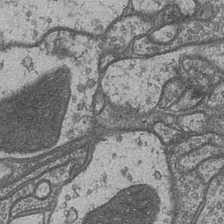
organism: Drosophila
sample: Optic medulla